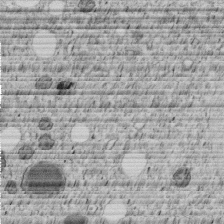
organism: C. elegans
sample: C. elegans embryo early stage